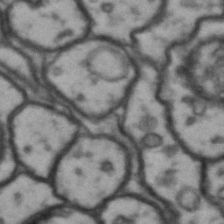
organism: Drosophila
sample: Brain